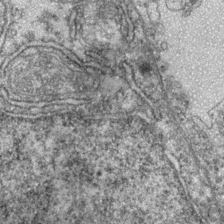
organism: Zebrafish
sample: Zebrafish embryo